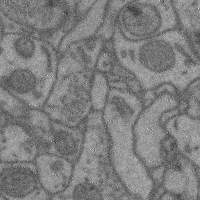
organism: Mouse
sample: Cerebral cortex